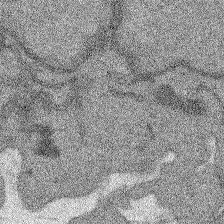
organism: Human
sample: HeLa cells